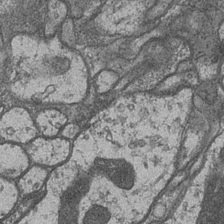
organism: Drosophila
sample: Optic medulla